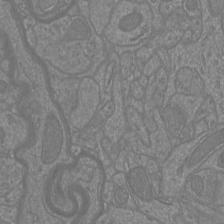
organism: Mouse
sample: Cortical neurons